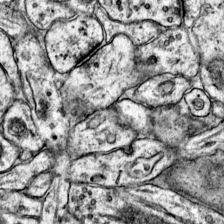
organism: Mouse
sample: Primary visual cortex